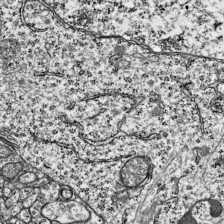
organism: Mouse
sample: Visual Cortex